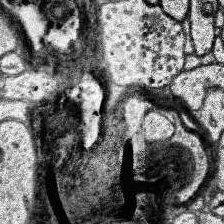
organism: Human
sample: Temporal Lobe